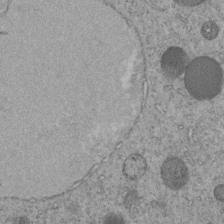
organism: C. elegans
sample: C. elegans embryo early stage